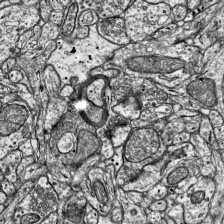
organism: Mouse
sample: Visual Cortex